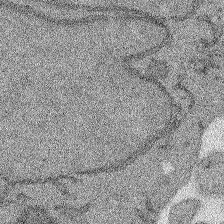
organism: Human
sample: HeLa cells